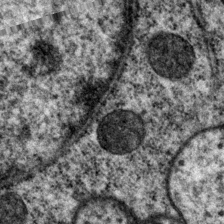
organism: P. pacificus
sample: Pharynx